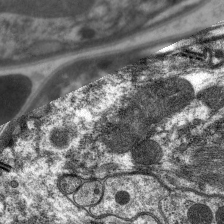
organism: C. elegans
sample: Pharynx